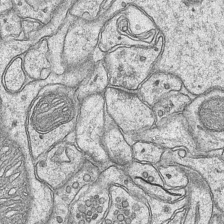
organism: Mouse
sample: CA1 Hippocampus